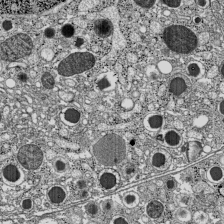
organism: C57BL Mouse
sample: Pancreatic islet